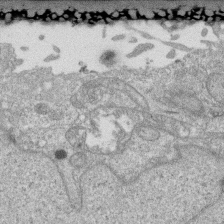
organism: Human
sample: HeLa cell HIV synapse